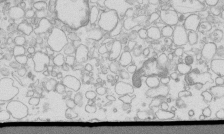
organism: Mouse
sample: Macrophages